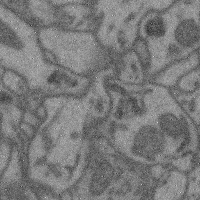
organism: Mouse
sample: Cerebral cortex